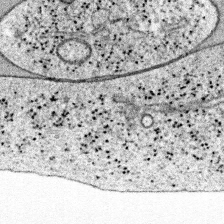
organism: Human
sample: HeLa cells